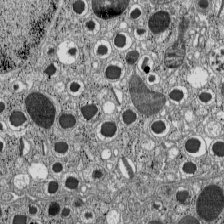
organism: C57BL Mouse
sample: Pancreatic islet